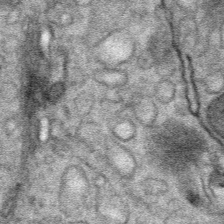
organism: Mouse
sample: Mouse Salivary gland